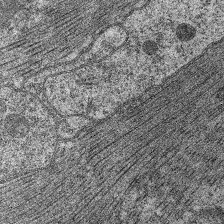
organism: C. elegans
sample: Pharynx